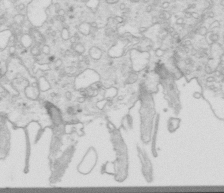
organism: Mouse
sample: Multiciliated cells